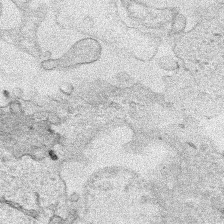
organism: Human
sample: Mitochondria in HCT116 cells